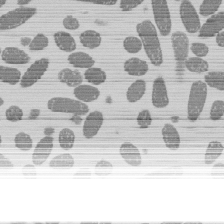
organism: E. coli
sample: Bacterial nucleoid